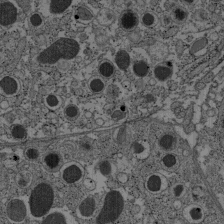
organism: C57BL Mouse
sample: Pancreatic islet